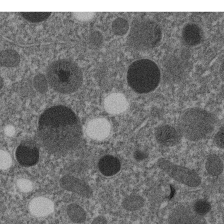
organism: C. elegans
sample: C. elegans embryo early stage